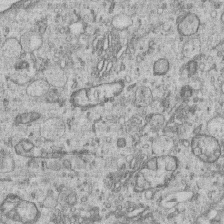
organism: Human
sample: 1205lu cells